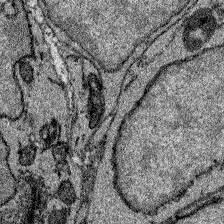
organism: Zebrafish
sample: Larval olfactory bulb